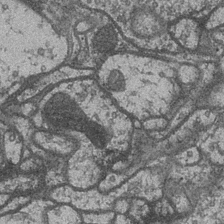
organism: Drosophila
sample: Optic medulla